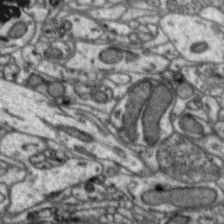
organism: Zebra finch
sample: Brain